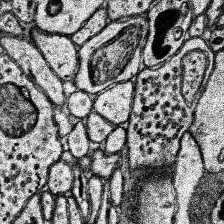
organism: Human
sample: Temporal Lobe